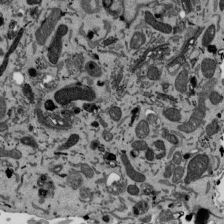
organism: Mouse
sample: ED-1 cell nuclei; centrioles